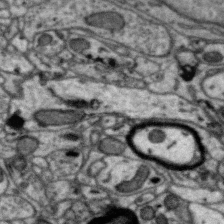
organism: Zebra finch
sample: Brain